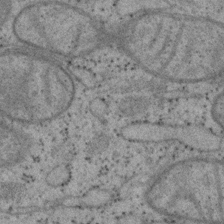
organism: Human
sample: HeLa cells